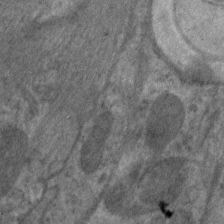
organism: C. elegans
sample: Pharynx